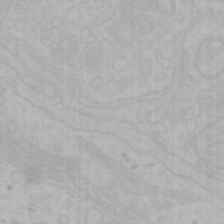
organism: Mouse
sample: Choroid plexus